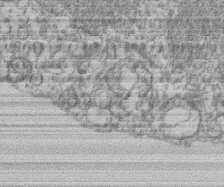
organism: Mouse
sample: T cell stromal cell synapse